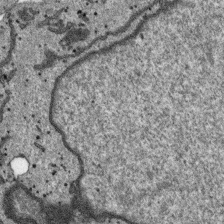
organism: Human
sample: Lung epithelial cells, uninfected (mock) control